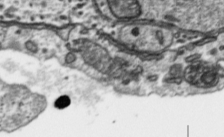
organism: Toxoplasma gondii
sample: Parasites in a vacuole inside a host cell